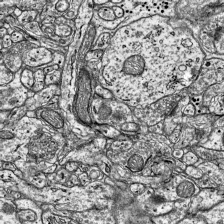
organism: Mouse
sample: Visual Cortex